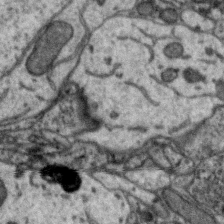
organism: Zebra finch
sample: Brain